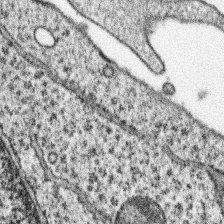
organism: Human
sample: HeLa cells